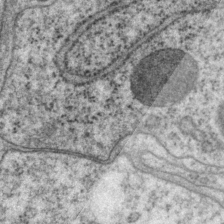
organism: P. pacificus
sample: Pharynx